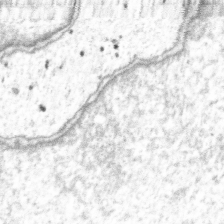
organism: Human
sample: HeLa cells